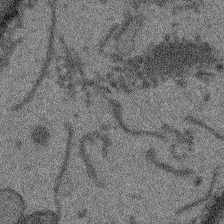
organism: Arabidopsis thaliana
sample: Root tip